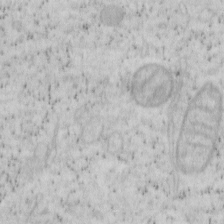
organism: Human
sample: HeLa cells